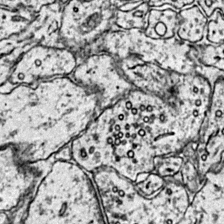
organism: Mouse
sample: Primary visual cortex